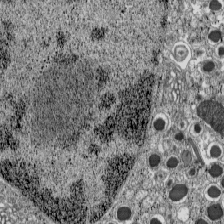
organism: C57BL Mouse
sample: Pancreatic islet